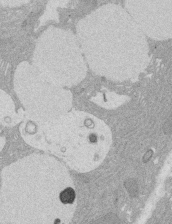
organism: Rat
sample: Salivary granule